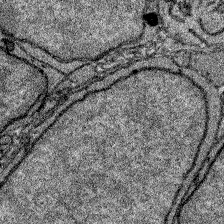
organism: Zebrafish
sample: Larval olfactory bulb